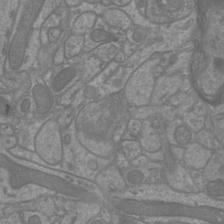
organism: Mouse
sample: Cortical neurons